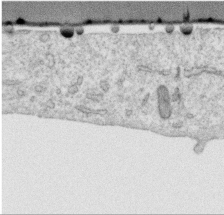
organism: Human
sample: Centriole in RPE cells